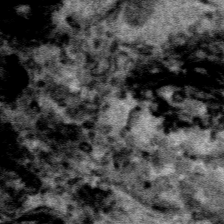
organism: Human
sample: Mitochondria in HCT116 cells